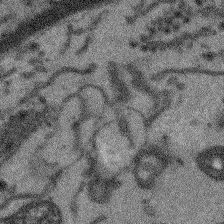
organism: Arabidopsis thaliana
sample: Root tip